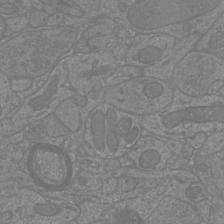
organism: Mouse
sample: Cortical neurons